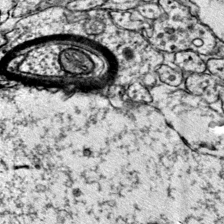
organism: Mouse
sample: Primary visual cortex